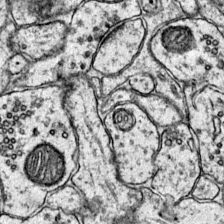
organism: Mouse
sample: Primary visual cortex